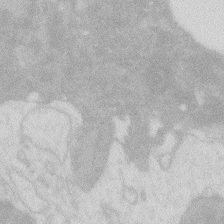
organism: Zebrafish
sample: Macrophage